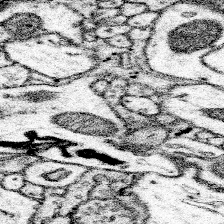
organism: Mouse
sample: Somatosensory cortex neuropil